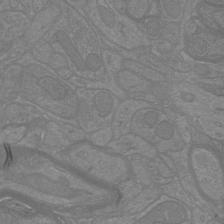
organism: Mouse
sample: Cortical neurons